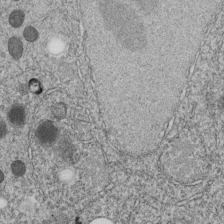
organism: C. elegans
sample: C. elegans embryo early stage